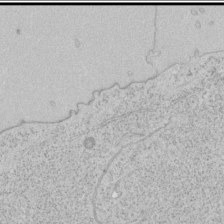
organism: Human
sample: Mitochondria in HCT116 cells